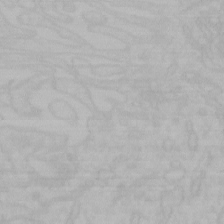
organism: Mouse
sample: Choroid plexus